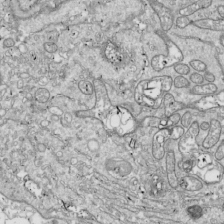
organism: Drosophila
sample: Cell division; meiosis; drosophila spermatocytes